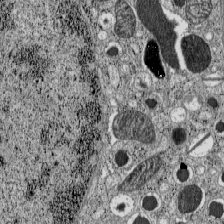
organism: C57BL Mouse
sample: Pancreatic islet